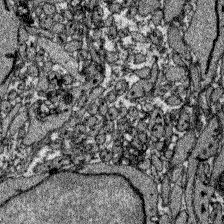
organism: Zebrafish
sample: Larval olfactory bulb